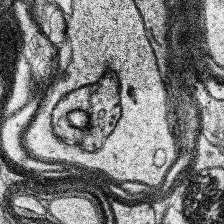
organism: Human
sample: Temporal Lobe